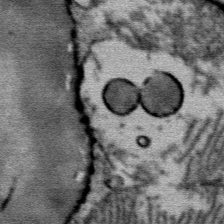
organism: Mouse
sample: Mouse Salivary gland